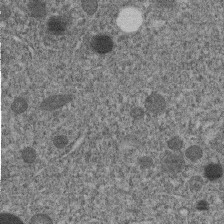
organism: C. elegans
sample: C. elegans embryo early stage